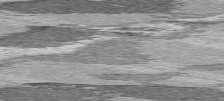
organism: C57BL Mouse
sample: Heart